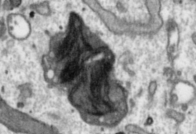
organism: Toxoplasma gondii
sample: Parasites in a vacuole inside a host cell